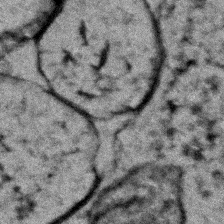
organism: Zebrafish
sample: Zebrafish embryo